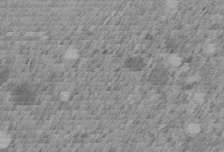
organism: C. elegans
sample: C. elegans embryo early stage